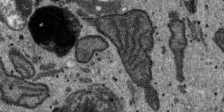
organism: Human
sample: Lung epithelial cells, uninfected (mock) control